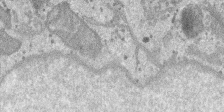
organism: Human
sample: Lung epithelial cells infected with SARS-CoV-2